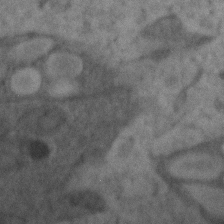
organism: Zebrafish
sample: Zebrafish embryo